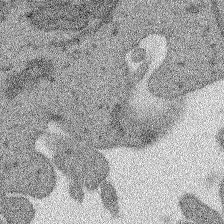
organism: Human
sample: HeLa cells